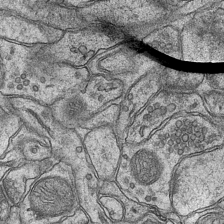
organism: Mouse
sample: CA1 Hippocampus